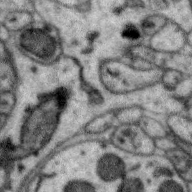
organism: Zebra finch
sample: Brain